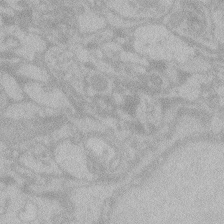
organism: Zebrafish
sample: Macrophage infected with Toxoplasma gondii